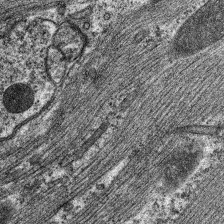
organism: C. elegans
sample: Pharynx